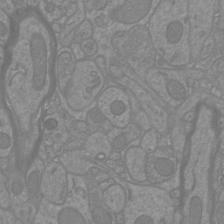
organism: Mouse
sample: Cortical neurons